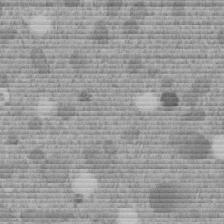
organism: C. elegans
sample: C. elegans embryo early stage